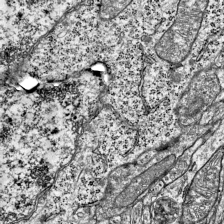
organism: Mouse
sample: Visual Cortex